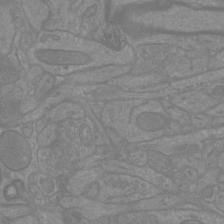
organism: Mouse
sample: Cortical neurons